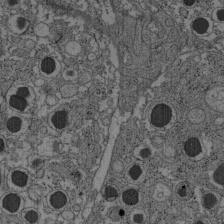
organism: C57BL Mouse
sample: Pancreatic islet